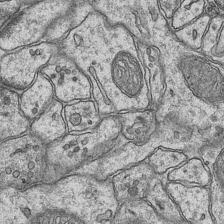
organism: Mouse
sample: CA1 Hippocampus